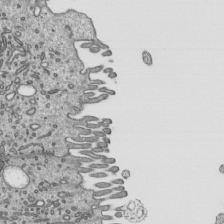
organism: Mouse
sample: Mouse epididymis efferent ductule cilia